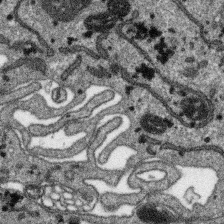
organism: Human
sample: Lung epithelial cells infected with SARS-CoV-2